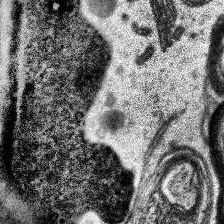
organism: Human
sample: Temporal Lobe